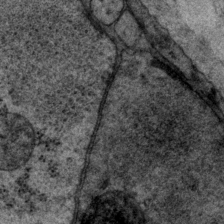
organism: P. pacificus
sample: Pharynx